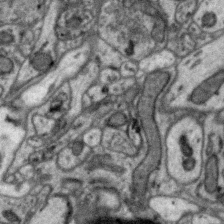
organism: Zebra finch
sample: Brain